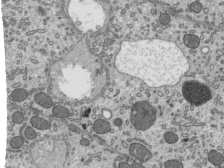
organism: Mouse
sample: Mouse epididymis efferent ductule cilia